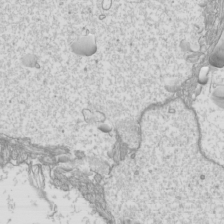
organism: Mouse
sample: Cilia; mouse epididymis